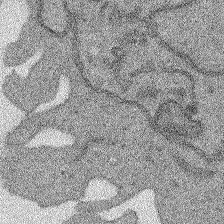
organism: Human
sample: HeLa cells